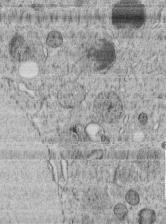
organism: C. elegans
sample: C. elegans embryo early stage